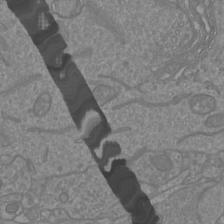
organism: Mouse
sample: Cortical neurons